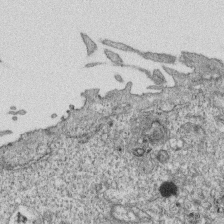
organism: Human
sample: HeLa cell HIV synapse